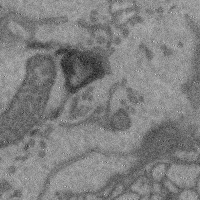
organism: Mouse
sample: Cerebral cortex